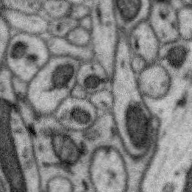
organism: Zebra finch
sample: Brain